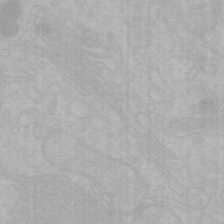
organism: Mouse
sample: Choroid plexus